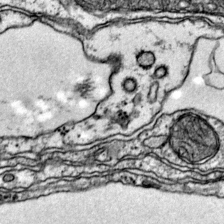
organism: Mouse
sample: Primary visual cortex